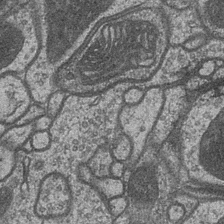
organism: Drosophila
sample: Optic medulla